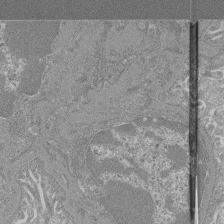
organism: Mouse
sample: Glomerulus